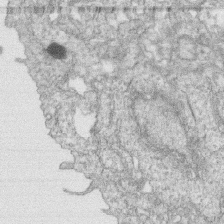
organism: Human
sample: HeLa cell HIV synapse